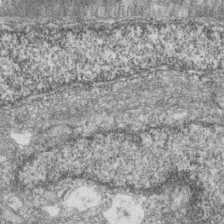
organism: Zebrafish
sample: Cilia; retinal pigment epithelium